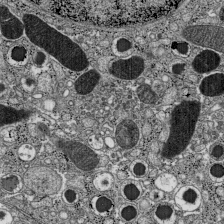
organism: C57BL Mouse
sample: Pancreatic islet